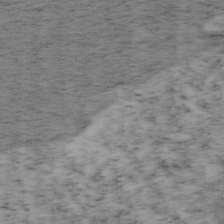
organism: Mouse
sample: OT-I killer T cells with ID8 ovarian cancer cells